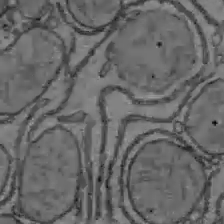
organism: C57BL Mouse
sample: Liver